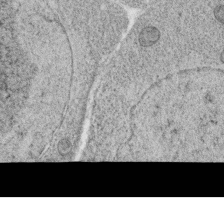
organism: C. elegans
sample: C. elegans oocyte; sperm cells